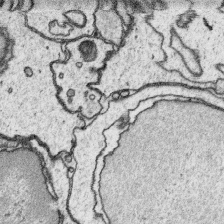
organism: Platynereis dumerilii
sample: Parapodia